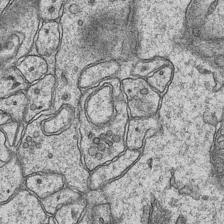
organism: Mouse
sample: CA1 Hippocampus